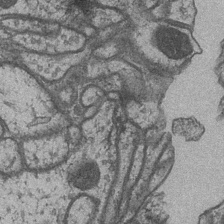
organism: Drosophila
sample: Optic medulla